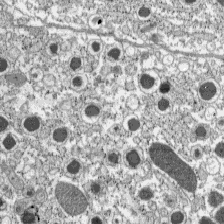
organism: C57BL Mouse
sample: Pancreatic islet